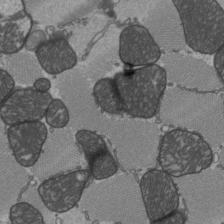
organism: C57BL Mouse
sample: Heart